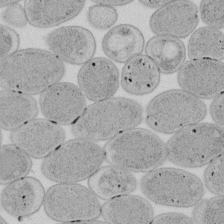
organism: E. coli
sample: Bacterial nucleoid